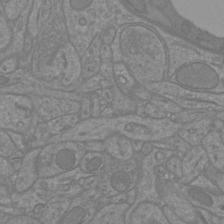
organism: Mouse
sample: Cortical neurons